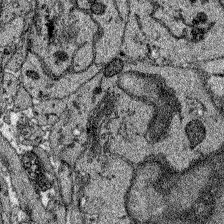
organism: Zebrafish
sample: Larval olfactory bulb